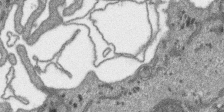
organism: Human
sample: Lung epithelial cells infected with SARS-CoV-2